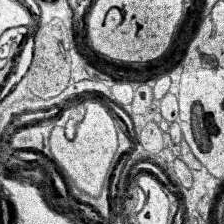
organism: Human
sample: Temporal Lobe